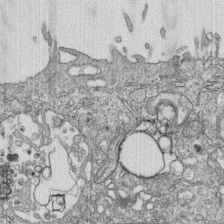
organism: Human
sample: HeLa cell HIV synapse